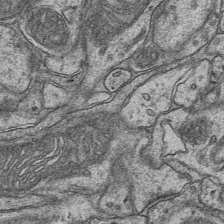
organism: Mouse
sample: CA1 Hippocampus